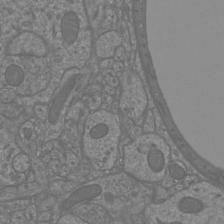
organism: Mouse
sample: Cortical neurons